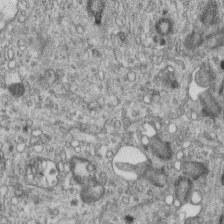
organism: Mouse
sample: Centriole in ependymal cells